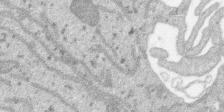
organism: Human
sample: Lung epithelial cells infected with SARS-CoV-2